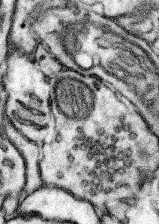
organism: Mouse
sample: Somatosensory cortex neuropil